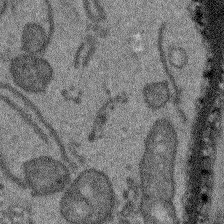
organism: Arabidopsis thaliana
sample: Root tip